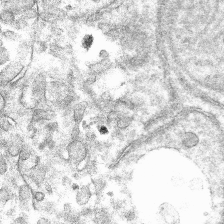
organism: Mouse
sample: Mouse hepatocytes